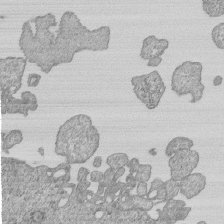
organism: Human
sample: MDA-MB-231 cells